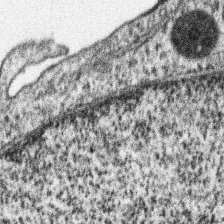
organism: Human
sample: HeLa cells